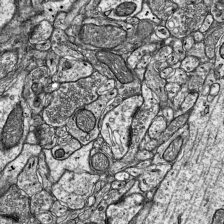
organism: Mouse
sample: Visual Cortex